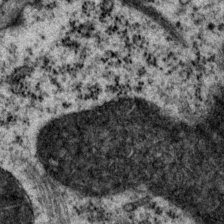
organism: P. pacificus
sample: Pharynx